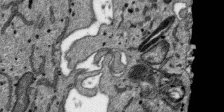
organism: Human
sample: Lung epithelial cells, uninfected (mock) control